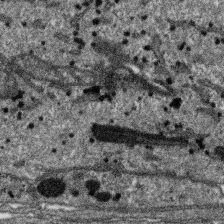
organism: Human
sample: Lung epithelial cells infected with SARS-CoV-2